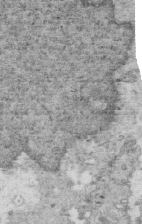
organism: Mouse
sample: Multiciliated cells